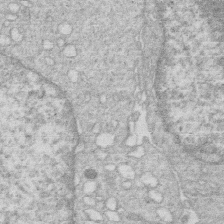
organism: Human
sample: Macrophage cells